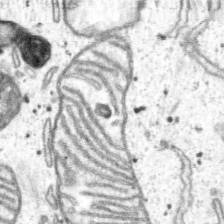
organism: Human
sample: HeLa cells